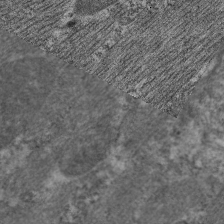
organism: C. elegans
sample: Pharynx